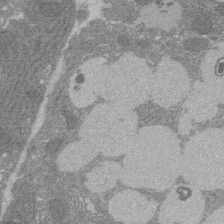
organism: Rat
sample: Salivary granule